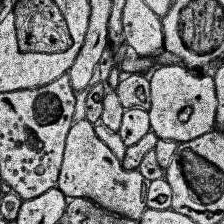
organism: Human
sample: Temporal Lobe